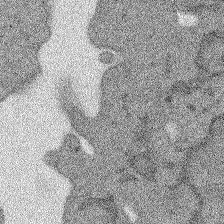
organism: Human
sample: HeLa cells